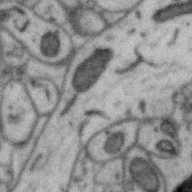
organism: Zebra finch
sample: Brain